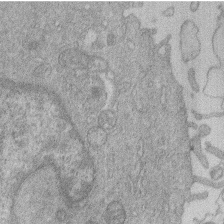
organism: Human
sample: Macrophage cells